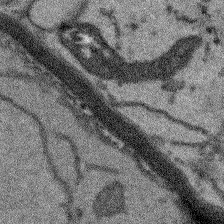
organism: Arabidopsis thaliana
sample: Root tip